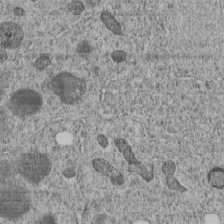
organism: C. elegans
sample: C. elegans embryo early stage